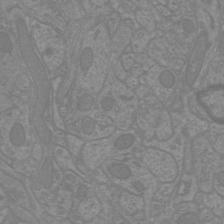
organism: Mouse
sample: Cortical neurons